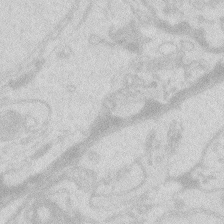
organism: Zebrafish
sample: Macrophage